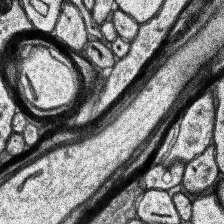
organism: Human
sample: Temporal Lobe